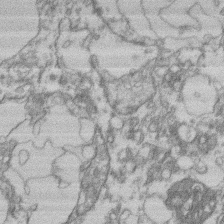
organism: Mouse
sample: T cell stromal cell synapse